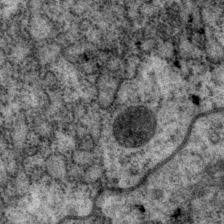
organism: P. pacificus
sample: Pharynx